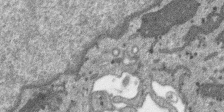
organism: Human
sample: Lung epithelial cells infected with SARS-CoV-2